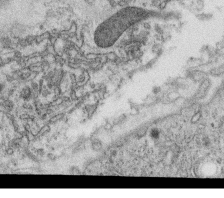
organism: C. elegans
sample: C. elegans oocyte; sperm cells